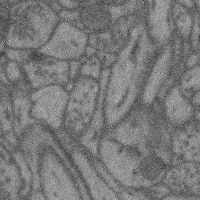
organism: Mouse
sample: Cerebral cortex